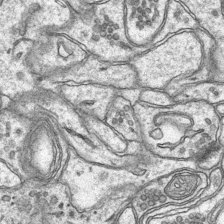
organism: Mouse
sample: CA1 Hippocampus